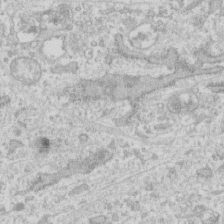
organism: Human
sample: Fibroblast cells